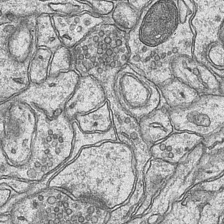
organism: Mouse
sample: CA1 Hippocampus